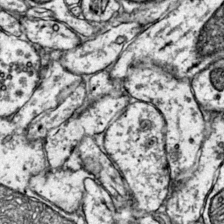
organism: Mouse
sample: Primary visual cortex